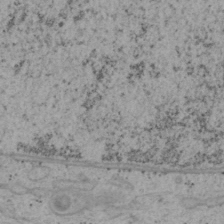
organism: Human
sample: HeLa cells